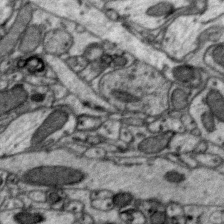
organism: Zebra finch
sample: Brain